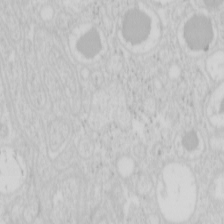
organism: Mouse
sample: Pancreas